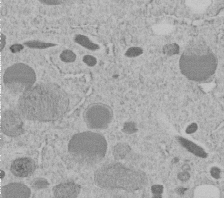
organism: C. elegans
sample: C. elegans embryo early stage